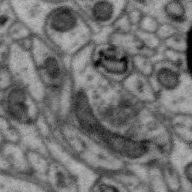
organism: Zebra finch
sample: Brain